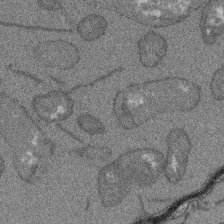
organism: Arabidopsis thaliana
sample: Root tip